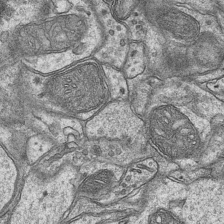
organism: Mouse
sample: CA1 Hippocampus